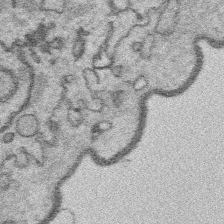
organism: Platynereis dumerilii